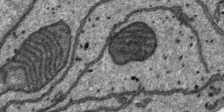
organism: Human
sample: Lung epithelial cells, uninfected (mock) control